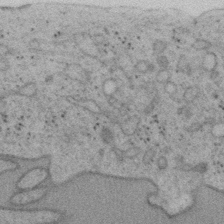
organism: Human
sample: HeLa cells